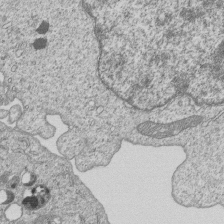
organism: Human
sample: MDA-MB-231 cells